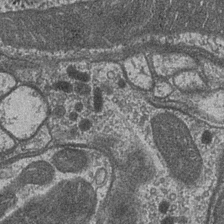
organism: Drosophila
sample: Optic medulla